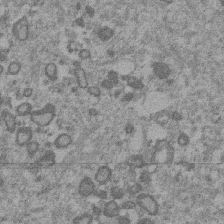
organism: Mouse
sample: Dividing mouse embryo 1 cell stage